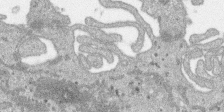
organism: Human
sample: Lung epithelial cells infected with SARS-CoV-2